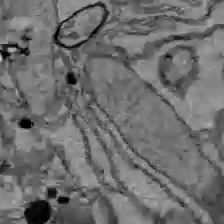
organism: C57BL Mouse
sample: Liver